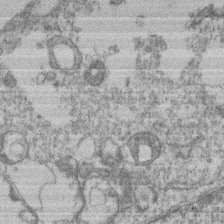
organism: Mouse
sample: T cell stromal cell synapse